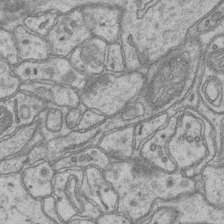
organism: Mouse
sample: CA1 Hippocampus